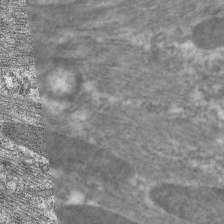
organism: C. elegans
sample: Pharynx